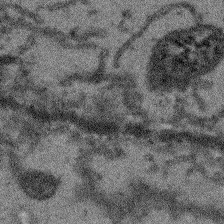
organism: Arabidopsis thaliana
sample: Root tip